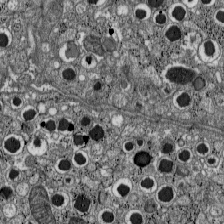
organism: C57BL Mouse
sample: Pancreatic islet